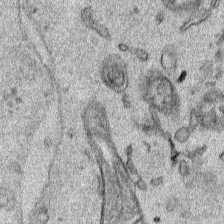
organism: Human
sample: Mitochondria in HCT116 cells